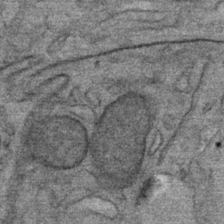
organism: Mouse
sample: Mouse Salivary gland